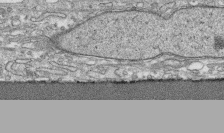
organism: Human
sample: CRL-1474